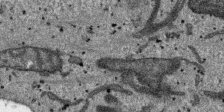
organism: Human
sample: Lung epithelial cells, uninfected (mock) control